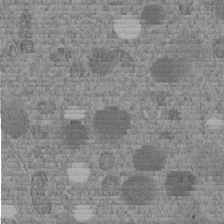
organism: C. elegans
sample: C. elegans embryo early stage